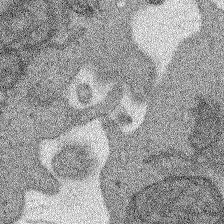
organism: Human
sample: HeLa cells